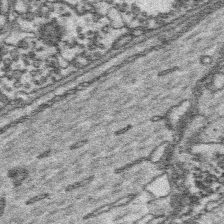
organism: Platynereis dumerilii